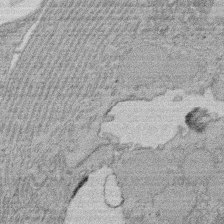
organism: Rat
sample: Salivary granule